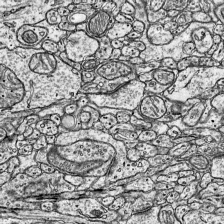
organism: Mouse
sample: Visual Cortex